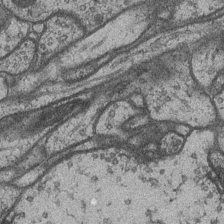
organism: Drosophila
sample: Optic medulla